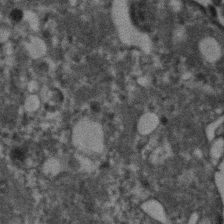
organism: Human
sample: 1205lu cells